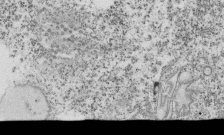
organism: Tetrahymena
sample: Cilia in tetrahymena